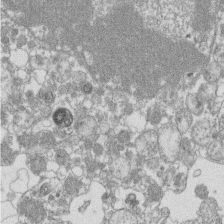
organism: Human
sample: HeLa cell HIV synapse